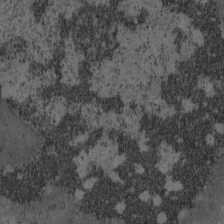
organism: Mouse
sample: OT-I killer T cells with ID8 ovarian cancer cells